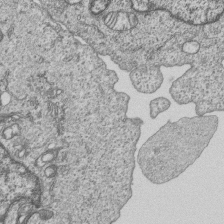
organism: Human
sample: MDA-MB-231 cells